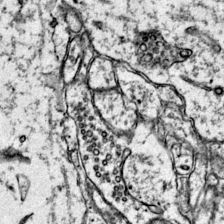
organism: Mouse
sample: Primary visual cortex